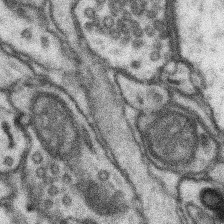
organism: Mouse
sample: Somatosensory cortex neuropil